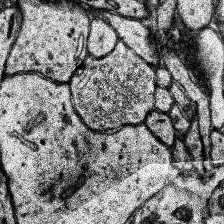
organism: Human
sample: Temporal Lobe